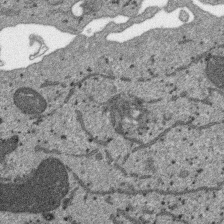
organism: Human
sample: Lung epithelial cells infected with SARS-CoV-2